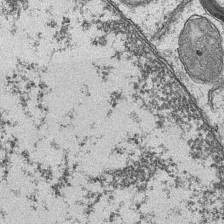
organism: Mouse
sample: CA1 Hippocampus